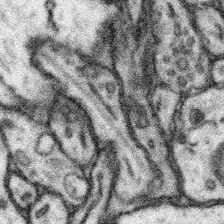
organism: Mouse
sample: Somatosensory cortex neuropil